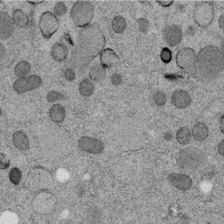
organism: C. elegans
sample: C. elegans embryo early stage